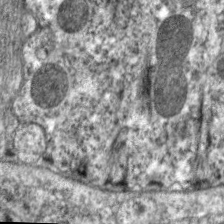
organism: C. elegans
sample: Pharynx